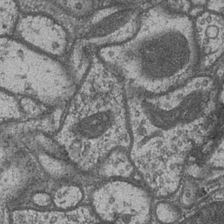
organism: Drosophila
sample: Optic medulla